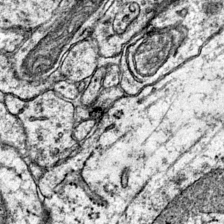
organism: Mouse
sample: Primary visual cortex